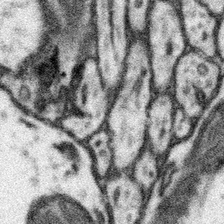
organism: Mouse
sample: Somatosensory cortex neuropil